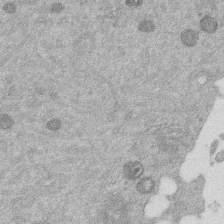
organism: Mouse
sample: Dividing mouse embryo 1 cell stage